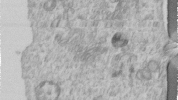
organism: Human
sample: Centriole in RPE cells